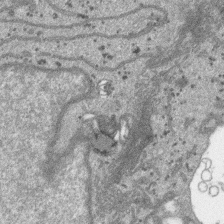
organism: Human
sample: Lung epithelial cells infected with SARS-CoV-2